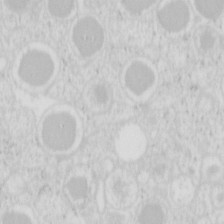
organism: Mouse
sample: Pancreas